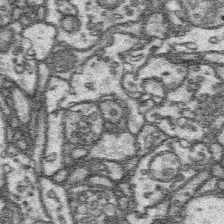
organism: Platynereis dumerilii